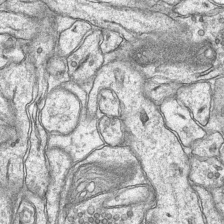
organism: Mouse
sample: CA1 Hippocampus